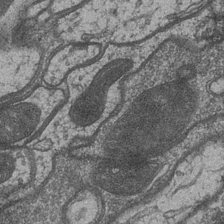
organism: Drosophila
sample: Optic medulla